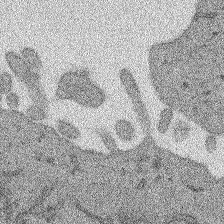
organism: Human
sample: HeLa cells